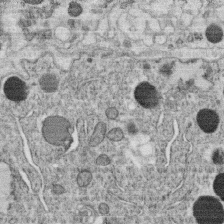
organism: C. elegans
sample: C. elegans oocyte; sperm cells